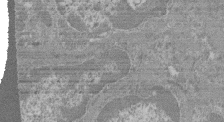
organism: Mouse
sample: Glomerulus